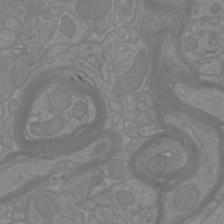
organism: Mouse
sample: Cortical neurons